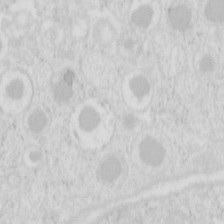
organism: Mouse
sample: Pancreas